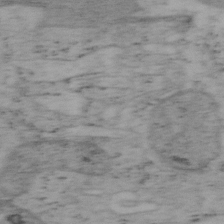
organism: Mouse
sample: OT-I killer T cells with ID8 ovarian cancer cells